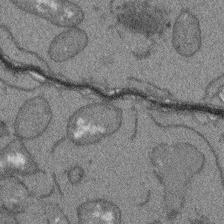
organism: Arabidopsis thaliana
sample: Root tip